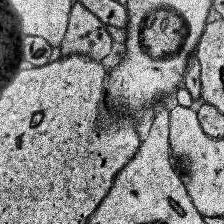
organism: Human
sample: Temporal Lobe